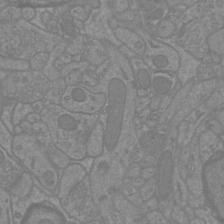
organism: Mouse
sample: Cortical neurons